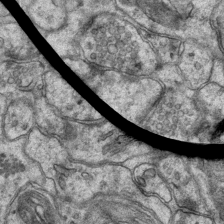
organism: Mouse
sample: CA1 Hippocampus